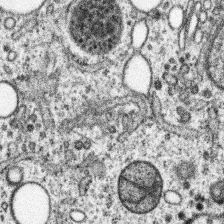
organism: Human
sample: HeLa cells